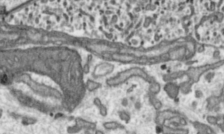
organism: Toxoplasma gondii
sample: Parasites in a vacuole inside a host cell